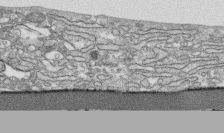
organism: Human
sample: CRL-1474